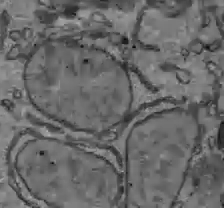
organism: C57BL Mouse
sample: Liver